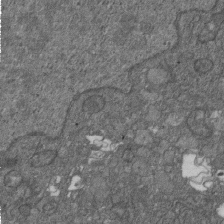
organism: Drosophila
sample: Nephrocyte